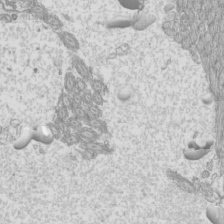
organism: Mouse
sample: Cilia; mouse epididymis